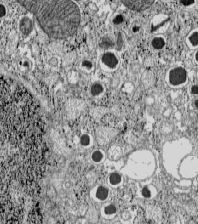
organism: C57BL Mouse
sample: Pancreatic islet